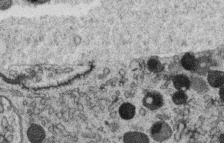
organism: C. elegans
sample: C. elegans oocyte; sperm cells